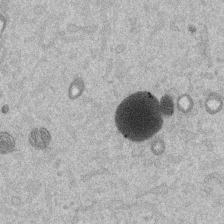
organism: Mouse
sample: Dividing mouse embryo 1 cell stage